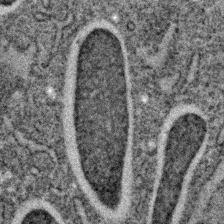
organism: C. elegans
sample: C. elegans embryo